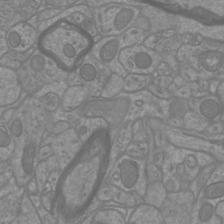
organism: Mouse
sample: Cortical neurons